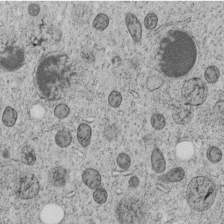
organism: C. elegans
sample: C. elegans embryo early stage